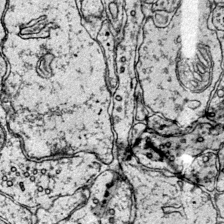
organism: Mouse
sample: Primary visual cortex